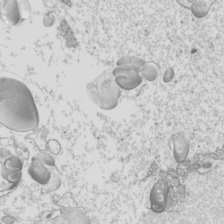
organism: Mouse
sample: Cilia; mouse epididymis